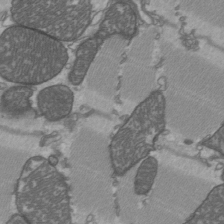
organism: C57BL Mouse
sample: Heart